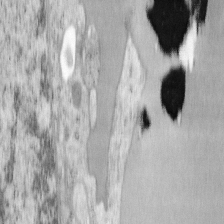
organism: Human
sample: HeLa cells